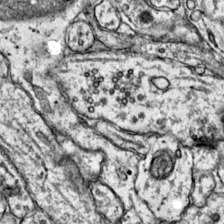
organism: Mouse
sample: Primary visual cortex